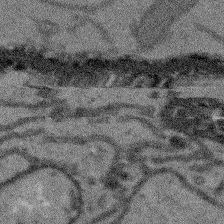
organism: Arabidopsis thaliana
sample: Root tip